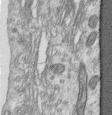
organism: Human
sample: Centriole in RPE cells